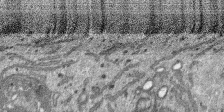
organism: Human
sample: Lung epithelial cells infected with SARS-CoV-2